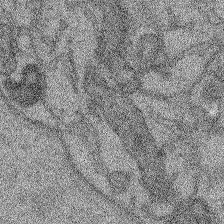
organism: Human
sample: HeLa cells